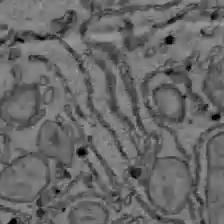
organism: C57BL Mouse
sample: Liver